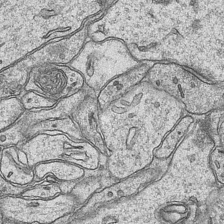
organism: Mouse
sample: CA1 Hippocampus